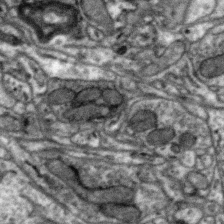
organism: Zebra finch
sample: Brain